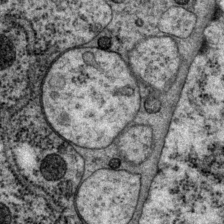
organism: P. pacificus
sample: Pharynx